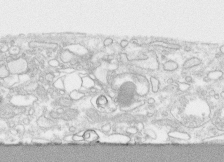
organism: Human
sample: CRL-1474